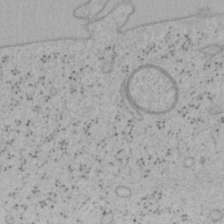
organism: Human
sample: HeLa cells